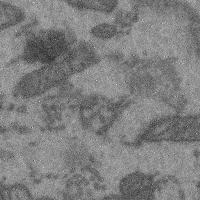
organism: Mouse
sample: Cerebral cortex